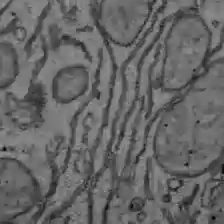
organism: C57BL Mouse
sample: Liver